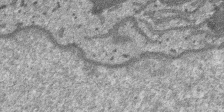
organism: Human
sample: Lung epithelial cells infected with SARS-CoV-2